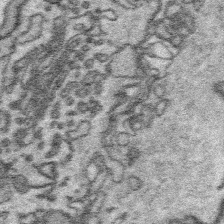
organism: Platynereis dumerilii